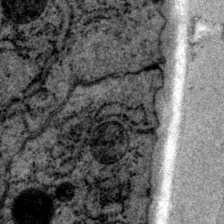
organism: P. pacificus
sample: Pharynx